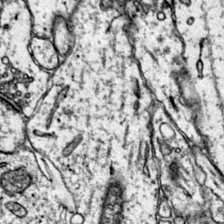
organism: Mouse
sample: Primary visual cortex